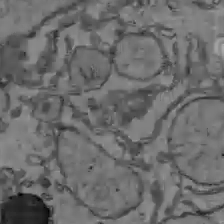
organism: C57BL Mouse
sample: Liver